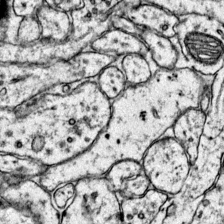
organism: Mouse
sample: Primary visual cortex